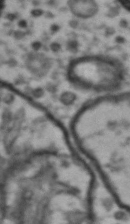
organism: Drosophila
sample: Brain